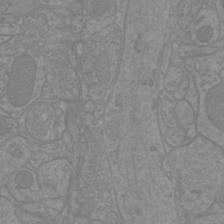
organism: Mouse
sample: Cortical neurons